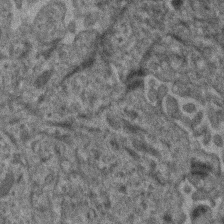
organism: Human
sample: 1205lu cells